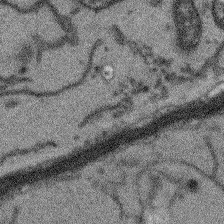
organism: Arabidopsis thaliana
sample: Root tip